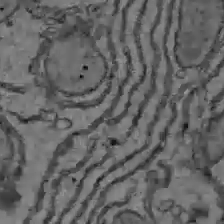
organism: C57BL Mouse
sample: Liver